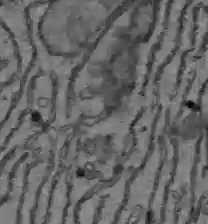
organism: C57BL Mouse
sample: Liver